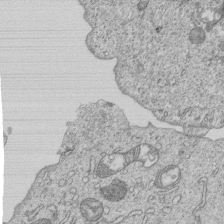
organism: Human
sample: MDA-MB-231 cells